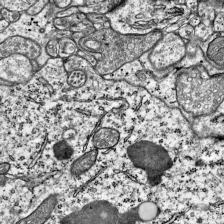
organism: Mouse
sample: Visual Cortex